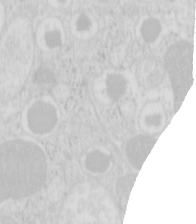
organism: Mouse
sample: Pancreas